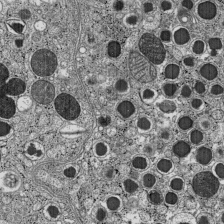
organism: C57BL Mouse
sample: Pancreatic islet